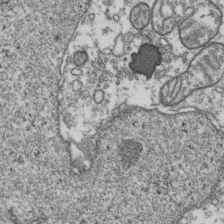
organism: Human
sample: Activated Jurkat CD4+ T cells